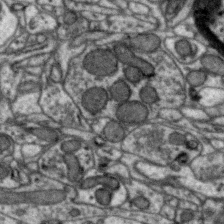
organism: Zebra finch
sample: Brain